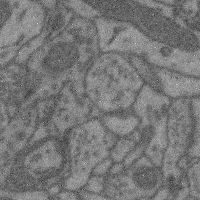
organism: Mouse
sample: Cerebral cortex